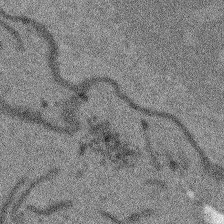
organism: Arabidopsis thaliana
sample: Root tip